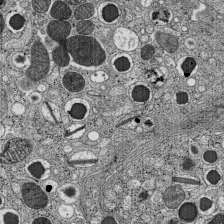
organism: C57BL Mouse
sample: Pancreatic islet